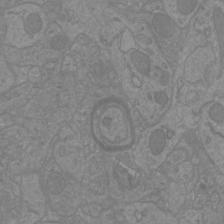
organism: Mouse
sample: Cortical neurons